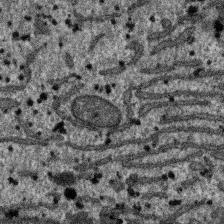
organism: Human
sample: Lung epithelial cells infected with SARS-CoV-2